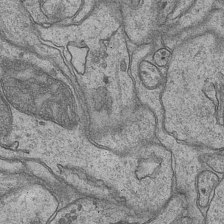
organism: Mouse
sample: CA1 Hippocampus